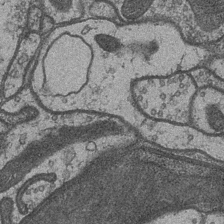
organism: Drosophila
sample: Optic medulla